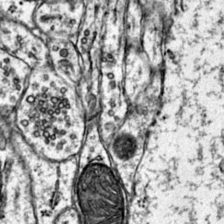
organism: Mouse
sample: Primary visual cortex